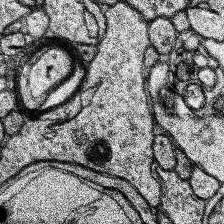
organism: Human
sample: Temporal Lobe